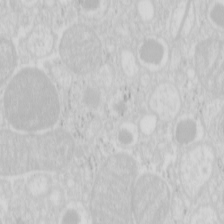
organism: Mouse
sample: Pancreas